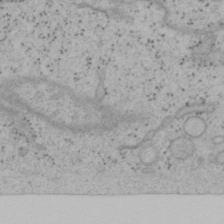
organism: Human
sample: HeLa cells